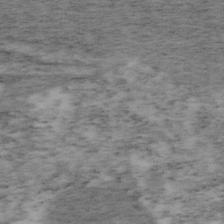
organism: Mouse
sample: OT-I killer T cells with ID8 ovarian cancer cells